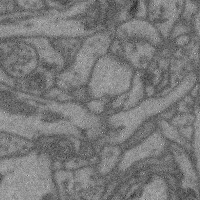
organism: Mouse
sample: Cerebral cortex